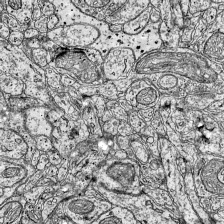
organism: Mouse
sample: Visual Cortex